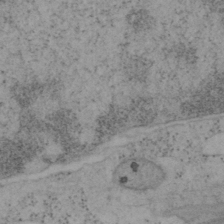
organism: Mouse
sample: OT-I killer T cells with ID8 ovarian cancer cells